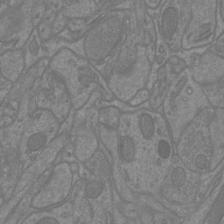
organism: Mouse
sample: Cortical neurons